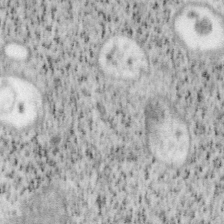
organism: Mouse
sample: OT-I killer T cells with ID8 ovarian cancer cells